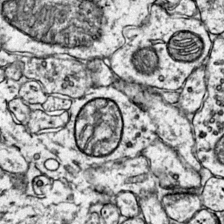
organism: Mouse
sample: Primary visual cortex